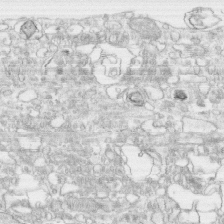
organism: Human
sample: CRL-1474